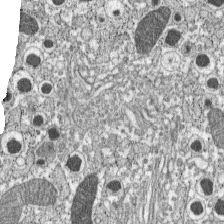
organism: C57BL Mouse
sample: Pancreatic islet